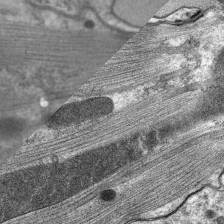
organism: C. elegans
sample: Pharynx